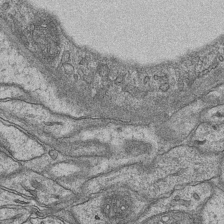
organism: Mouse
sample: CA1 Hippocampus